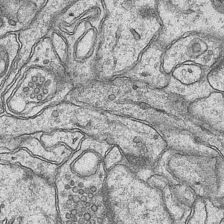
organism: Mouse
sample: CA1 Hippocampus